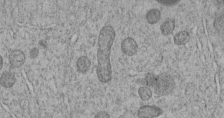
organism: C. elegans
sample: C. elegans embryo early stage